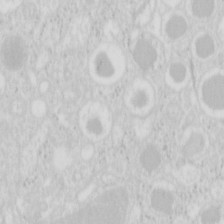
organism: Mouse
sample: Pancreas